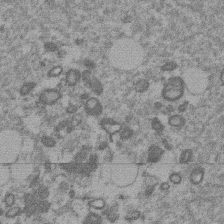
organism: Mouse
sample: Dividing mouse embryo 1 cell stage